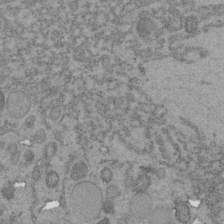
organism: C. elegans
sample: C. elegans embryo early stage